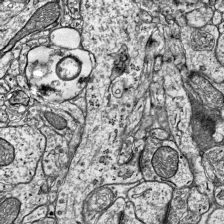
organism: Mouse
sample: Visual Cortex